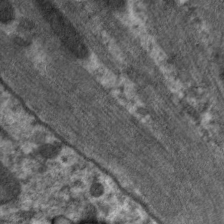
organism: C. elegans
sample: Pharynx